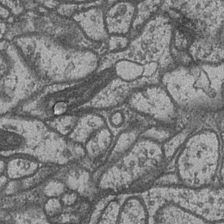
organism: Drosophila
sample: Optic medulla